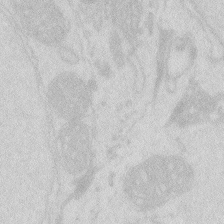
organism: Zebrafish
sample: Macrophage